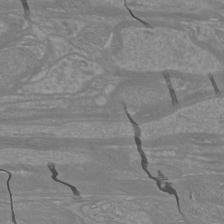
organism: Mouse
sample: Cortical neurons